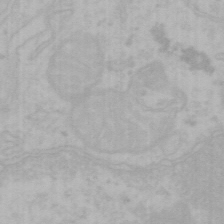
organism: Mouse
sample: Choroid plexus